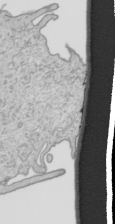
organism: Human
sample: Mitochondria in HCT116 cells